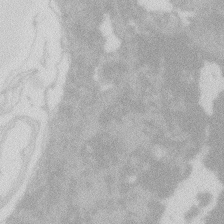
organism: Zebrafish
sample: Macrophage